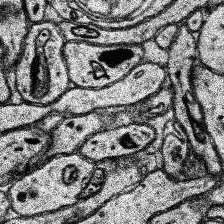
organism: Human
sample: Temporal Lobe